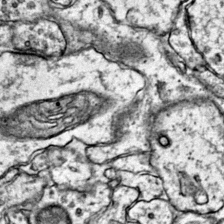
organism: Mouse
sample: Primary visual cortex